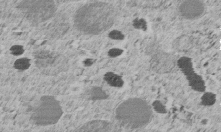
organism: C. elegans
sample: C. elegans embryo early stage